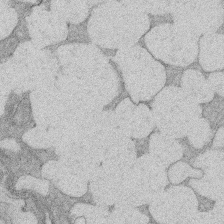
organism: Rat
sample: Salivary granule